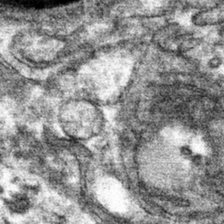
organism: Mouse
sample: Mouse hepatocytes